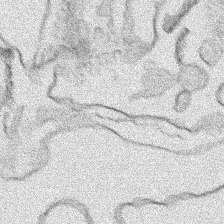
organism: Human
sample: Mitochondria in HCT116 cells